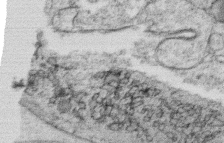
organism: C. elegans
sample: C. elegans oocyte; sperm cells